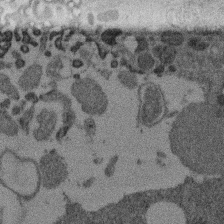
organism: Mouse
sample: Dividing mouse embryo 1 cell stage